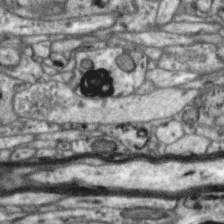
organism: Zebra finch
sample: Brain